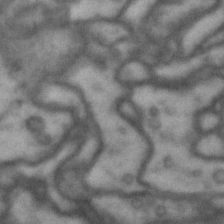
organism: Drosophila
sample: Brain